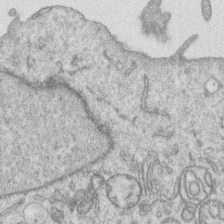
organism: Human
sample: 1205lu cells